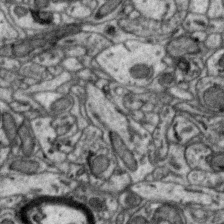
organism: Zebra finch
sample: Brain